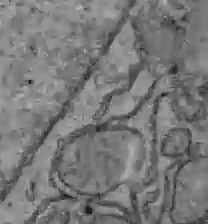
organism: C57BL Mouse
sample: Liver